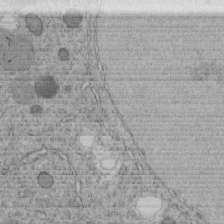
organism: C. elegans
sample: C. elegans embryo early stage